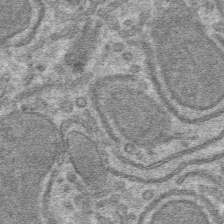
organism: Mouse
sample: Mouse hepatocytes